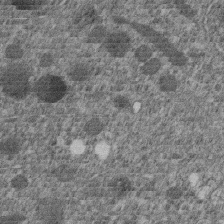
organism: C. elegans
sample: C. elegans embryo early stage